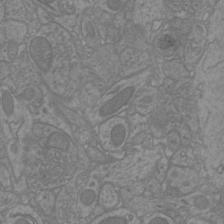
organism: Mouse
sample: Cortical neurons